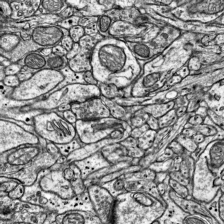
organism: Mouse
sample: Visual Cortex